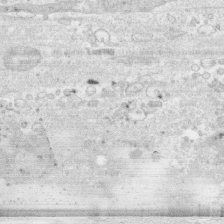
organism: Human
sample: CRL-1474